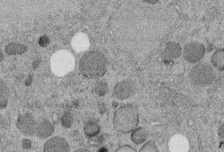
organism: C. elegans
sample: C. elegans embryo early stage